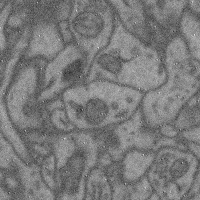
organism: Mouse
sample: Cerebral cortex